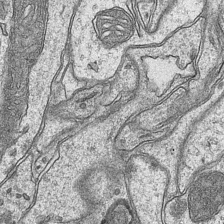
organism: Mouse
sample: CA1 Hippocampus